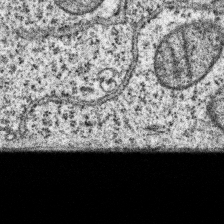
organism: Human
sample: HeLa cells